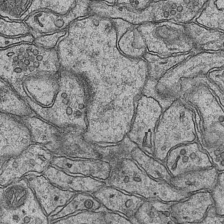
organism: Mouse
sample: CA1 Hippocampus